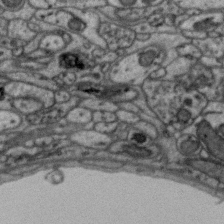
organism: Zebra finch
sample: Brain